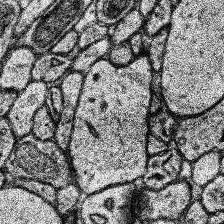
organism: Human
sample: Temporal Lobe